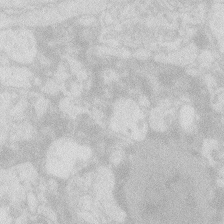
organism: Zebrafish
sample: Macrophage